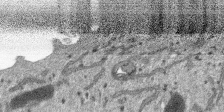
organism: Human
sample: Lung epithelial cells infected with SARS-CoV-2